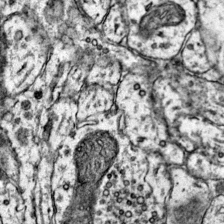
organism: Mouse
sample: Primary visual cortex